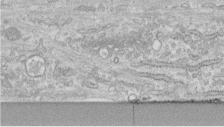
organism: Human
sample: Centriole in fibroblast cells